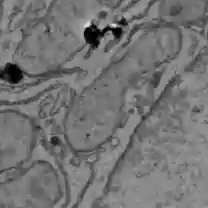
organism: C57BL Mouse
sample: Liver